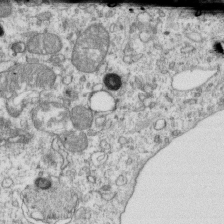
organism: Mouse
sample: Activated OT-1 CD8+ T cells